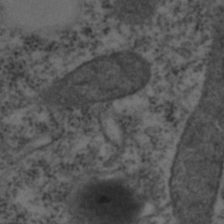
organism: C. elegans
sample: C. elegans embryo